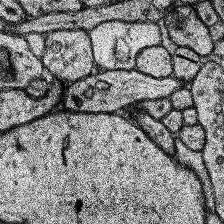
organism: Human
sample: Temporal Lobe